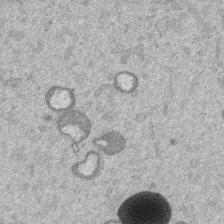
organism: Mouse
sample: Dividing mouse embryo 1 cell stage